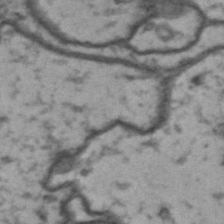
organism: Drosophila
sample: Brain